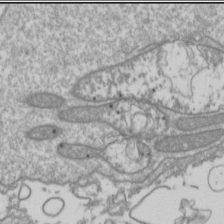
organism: Drosophila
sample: Cell division; meiosis; drosophila spermatocytes